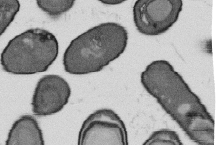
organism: B. subtilis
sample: Bacterial spore